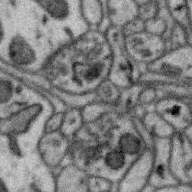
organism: Zebra finch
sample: Brain